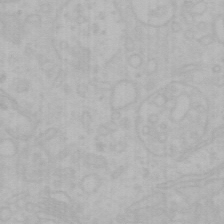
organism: Mouse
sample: Choroid plexus